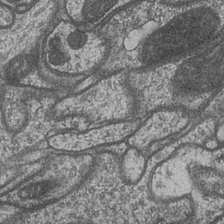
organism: Drosophila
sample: Optic medulla